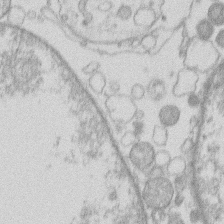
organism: Human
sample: Macrophage cells